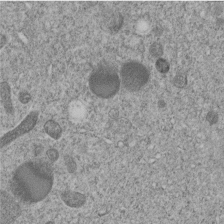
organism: C. elegans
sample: C. elegans embryo early stage